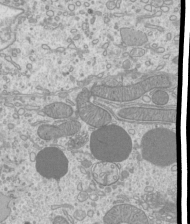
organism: Mouse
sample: Cilia; mouse epididymis